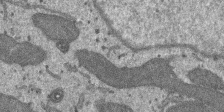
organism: Human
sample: Lung epithelial cells infected with SARS-CoV-2